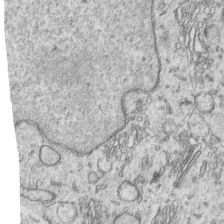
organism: Human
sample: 1205lu cells